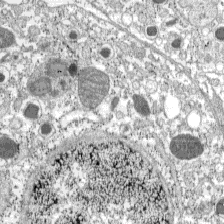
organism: C57BL Mouse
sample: Pancreatic islet